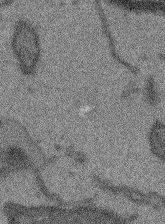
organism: Arabidopsis thaliana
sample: Root tip